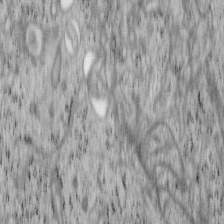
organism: Human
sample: HeLa cells